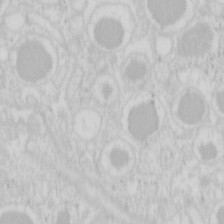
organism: Mouse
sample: Pancreas